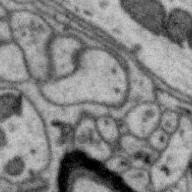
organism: Zebra finch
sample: Brain